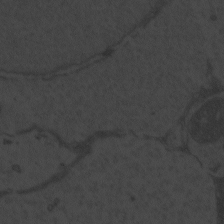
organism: Zebrafish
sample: Macrophage infected with Toxoplasma gondii